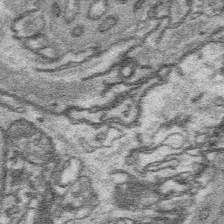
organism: Platynereis dumerilii